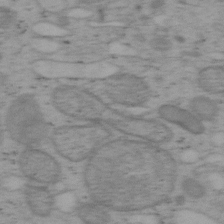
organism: Mouse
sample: OT-I killer T cells with ID8 ovarian cancer cells